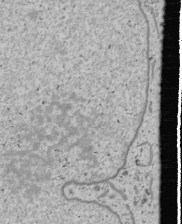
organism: Human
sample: Mitochondria in U2OS cells